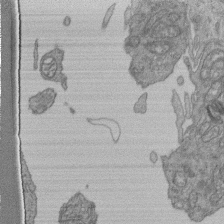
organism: Human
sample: Retinal organoid Rod and Cone cells